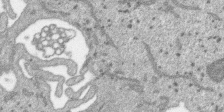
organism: Human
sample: Lung epithelial cells infected with SARS-CoV-2